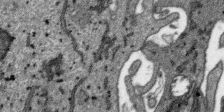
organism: Human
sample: Lung epithelial cells, uninfected (mock) control